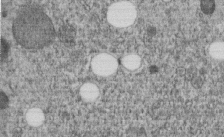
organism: C. elegans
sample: C. elegans embryo early stage